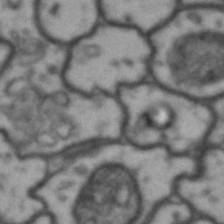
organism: Drosophila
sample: Brain